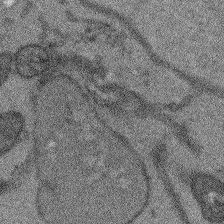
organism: Arabidopsis thaliana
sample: Root tip